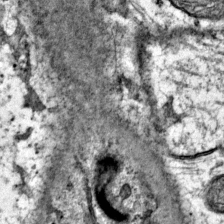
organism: Mouse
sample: Primary visual cortex